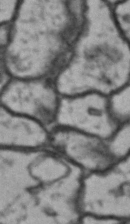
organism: Drosophila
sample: Brain